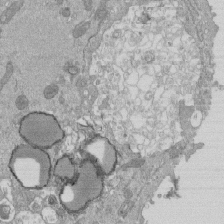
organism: Mouse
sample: ED-1 cell nuclei; centrioles